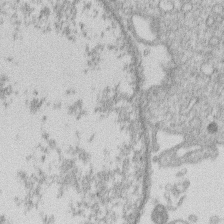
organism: Human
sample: Macrophage cells